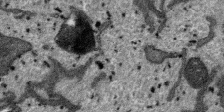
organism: Human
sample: Lung epithelial cells, uninfected (mock) control